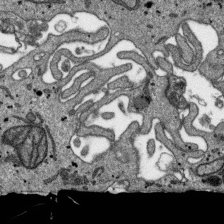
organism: Human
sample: Lung epithelial cells, uninfected (mock) control